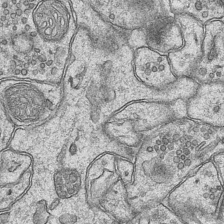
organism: Mouse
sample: CA1 Hippocampus